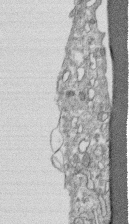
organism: Human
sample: CRL-1474